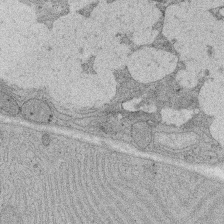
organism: Rat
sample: Salivary granule